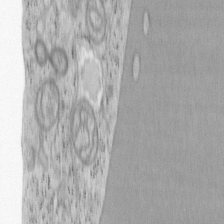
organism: Human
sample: HeLa cells